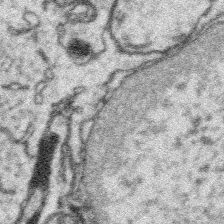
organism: Platynereis dumerilii